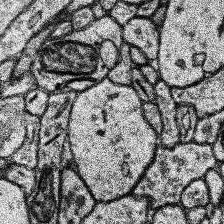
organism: Human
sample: Temporal Lobe